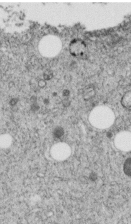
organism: C. elegans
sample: C. elegans embryo early stage